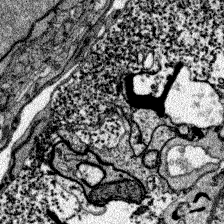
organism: Zebrafish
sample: Larval olfactory bulb